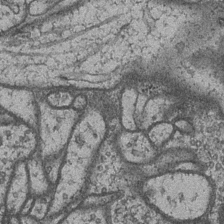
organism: Drosophila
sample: Optic medulla